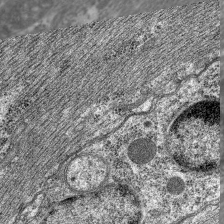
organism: C. elegans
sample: Pharynx